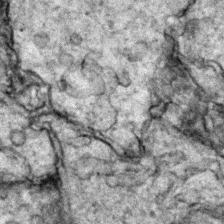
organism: Zebrafish